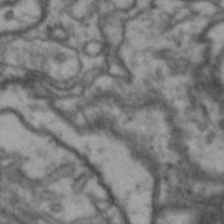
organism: Drosophila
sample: Brain